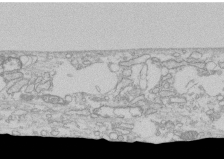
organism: Human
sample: CRL-1474